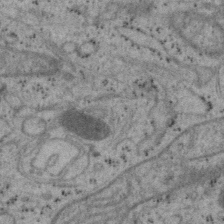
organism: Human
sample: HeLa cells